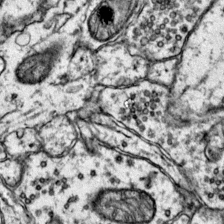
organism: Mouse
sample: Primary visual cortex